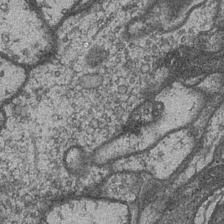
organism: Drosophila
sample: Optic medulla